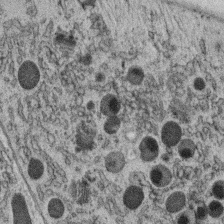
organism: C. elegans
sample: C. elegans oocyte; sperm cells